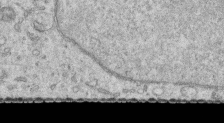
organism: Human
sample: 1205lu cells